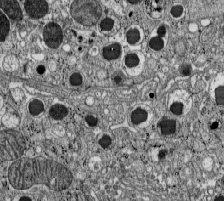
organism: C57BL Mouse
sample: Pancreatic islet